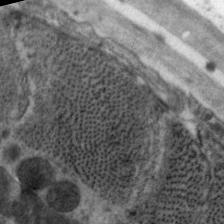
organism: C. elegans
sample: Pharynx